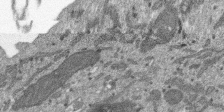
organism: Human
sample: Lung epithelial cells infected with SARS-CoV-2